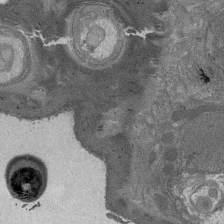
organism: Drosophila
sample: Antenna